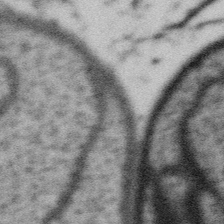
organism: Gemmata obscuriglobus